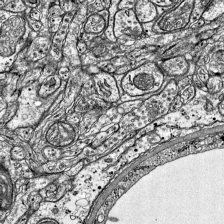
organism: Mouse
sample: Visual Cortex